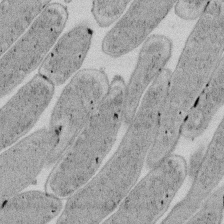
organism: E. coli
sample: Bacterial nucleoid